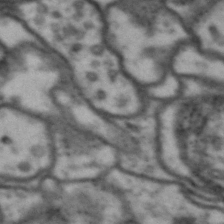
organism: Drosophila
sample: Brain